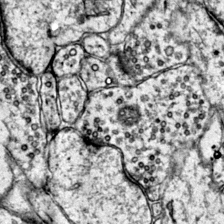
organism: Mouse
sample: Primary visual cortex